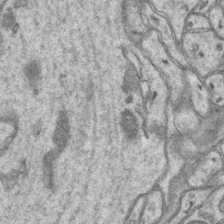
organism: Mouse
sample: CA1 Hippocampus